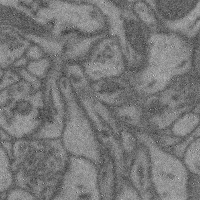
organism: Mouse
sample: Cerebral cortex